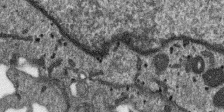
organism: Human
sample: Lung epithelial cells infected with SARS-CoV-2